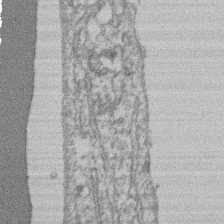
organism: Mouse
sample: T cell stromal cell synapse